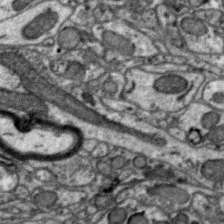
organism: Zebra finch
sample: Brain